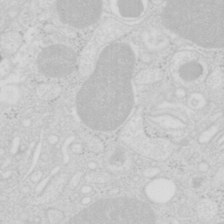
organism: Mouse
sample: Pancreas